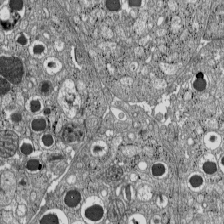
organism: C57BL Mouse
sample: Pancreatic islet